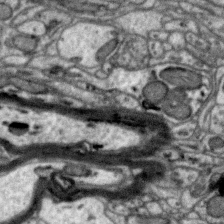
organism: Zebra finch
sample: Brain